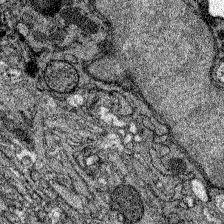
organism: Zebrafish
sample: Larval olfactory bulb